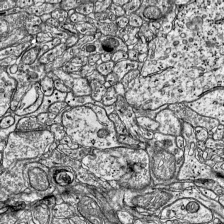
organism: Mouse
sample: Visual Cortex